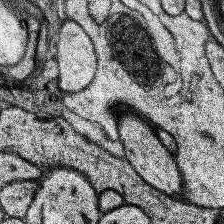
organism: Human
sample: Temporal Lobe